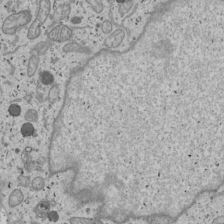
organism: Human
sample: Mitochondria in U2OS cells